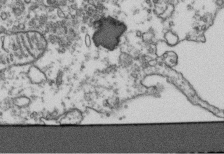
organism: Human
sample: Activated Jurkat CD4+ T cells